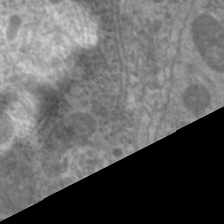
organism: C. elegans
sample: Pharynx